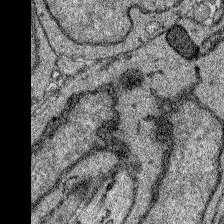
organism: Zebrafish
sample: Larval olfactory bulb